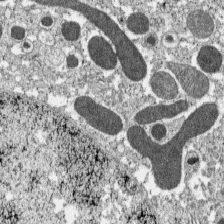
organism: C57BL Mouse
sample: Pancreatic islet